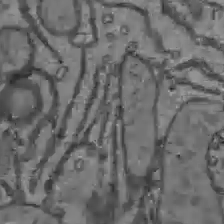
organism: C57BL Mouse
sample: Liver